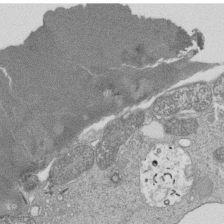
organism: Tetrahymena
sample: Cilia in tetrahymena